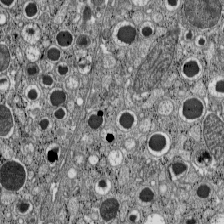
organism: C57BL Mouse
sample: Pancreatic islet